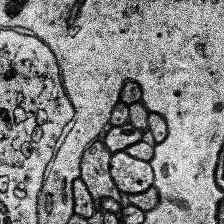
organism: Human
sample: Temporal Lobe